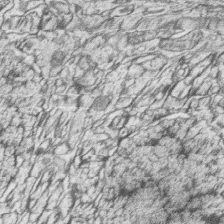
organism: Zebrafish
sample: synaptic ribbons in rod cells and cone cells